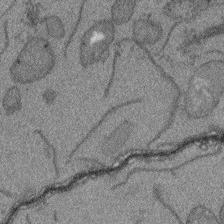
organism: Arabidopsis thaliana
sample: Root tip